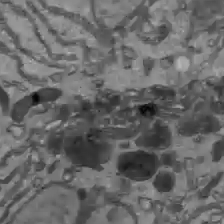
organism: C57BL Mouse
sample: Liver